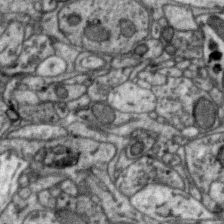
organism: Zebra finch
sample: Brain